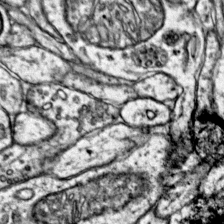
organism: Mouse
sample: Primary visual cortex